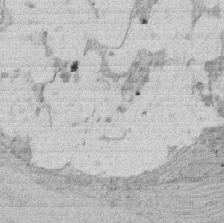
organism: Rat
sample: Salivary granule